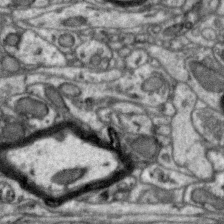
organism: Zebra finch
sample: Brain